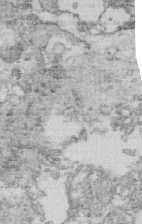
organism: Mouse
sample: Multiciliated cells